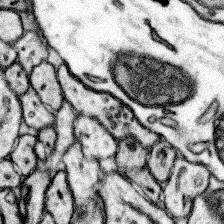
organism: Mouse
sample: Somatosensory cortex neuropil